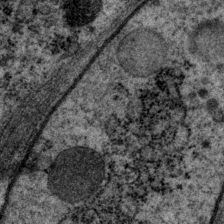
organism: P. pacificus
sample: Pharynx